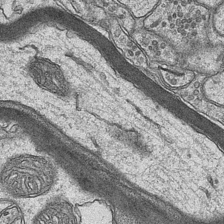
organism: Mouse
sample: CA1 Hippocampus